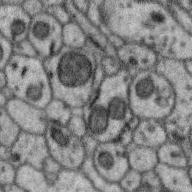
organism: Zebra finch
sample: Brain